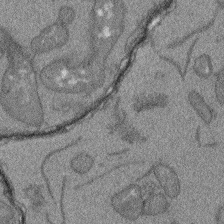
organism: Arabidopsis thaliana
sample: Root tip